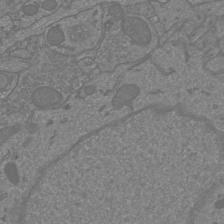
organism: Mouse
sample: Cortical neurons